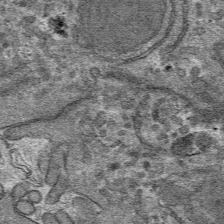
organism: Mouse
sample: Mouse hepatocytes